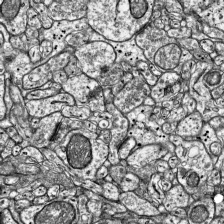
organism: Mouse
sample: Visual Cortex